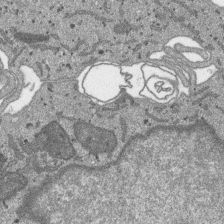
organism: Human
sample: Lung epithelial cells infected with SARS-CoV-2